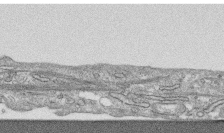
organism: Human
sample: CRL-1474